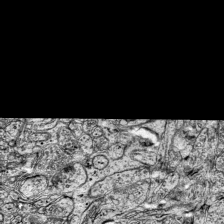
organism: Mouse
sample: Visual Cortex